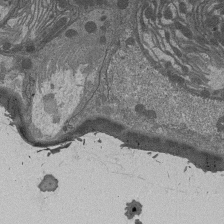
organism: Drosophila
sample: Antenna